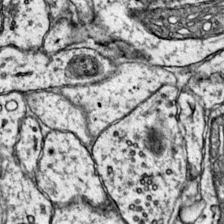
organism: Mouse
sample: Primary visual cortex